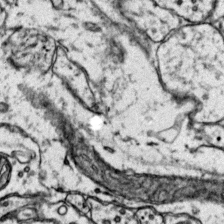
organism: Mouse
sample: Primary visual cortex